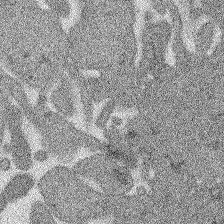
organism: Human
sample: HeLa cells